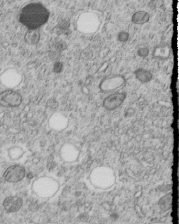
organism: C. elegans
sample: C. elegans embryo early stage